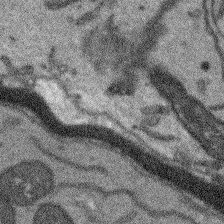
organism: Arabidopsis thaliana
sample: Root tip